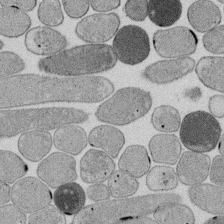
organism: E. coli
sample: Bacterial nucleoid